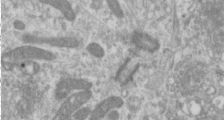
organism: Human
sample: Cilia; basal body in RPE cells